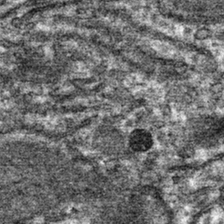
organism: Mouse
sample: Mouse hepatocytes